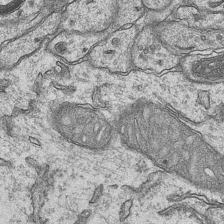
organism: Mouse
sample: CA1 Hippocampus